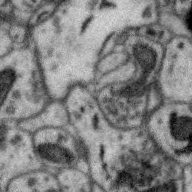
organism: Zebra finch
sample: Brain